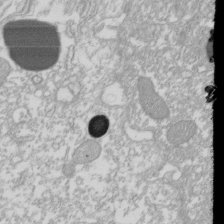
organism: Xenopus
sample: Cilia; centrioles in frog embryo cells